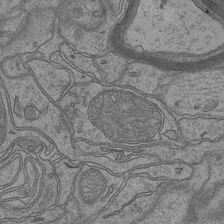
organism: Mouse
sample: CA1 Hippocampus